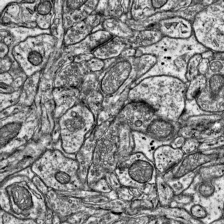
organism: Mouse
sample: Visual Cortex